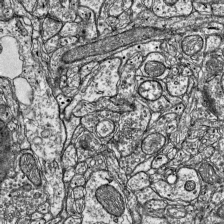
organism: Mouse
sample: Visual Cortex